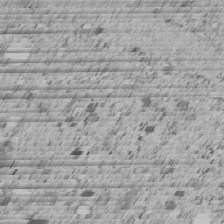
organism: C. elegans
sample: C. elegans embryo early stage